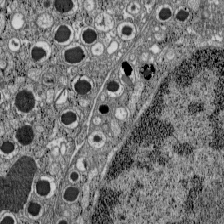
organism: C57BL Mouse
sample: Pancreatic islet